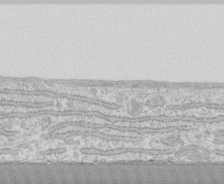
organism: Human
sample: CRL-1474